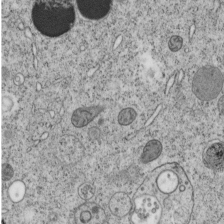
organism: C. elegans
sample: C. elegans embryo early stage